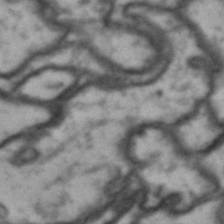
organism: Drosophila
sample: Brain